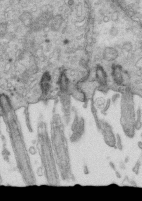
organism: Mouse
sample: Multiciliated cells